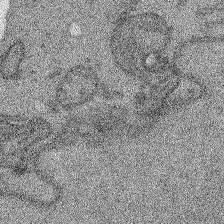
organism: Human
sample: HeLa cells